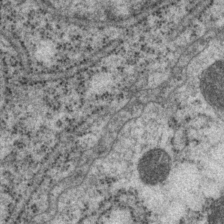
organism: P. pacificus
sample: Pharynx